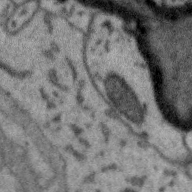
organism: Zebra finch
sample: Brain